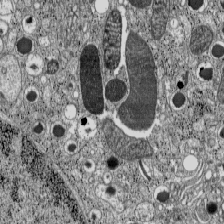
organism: C57BL Mouse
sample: Pancreatic islet